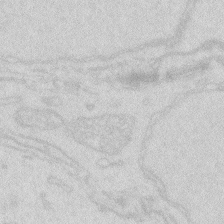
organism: Zebrafish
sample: Macrophage